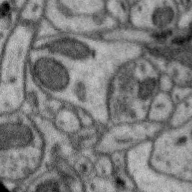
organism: Zebra finch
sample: Brain